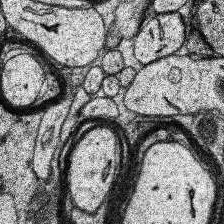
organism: Human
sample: Temporal Lobe